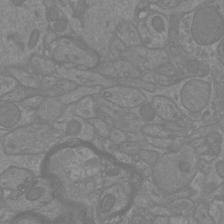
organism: Mouse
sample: Cortical neurons